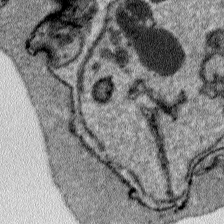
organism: Plasmodium falciparum